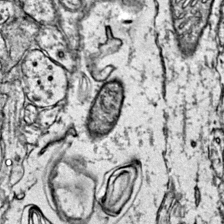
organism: Mouse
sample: Primary visual cortex